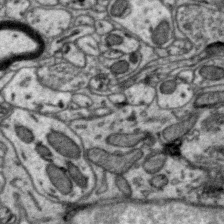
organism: Zebra finch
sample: Brain